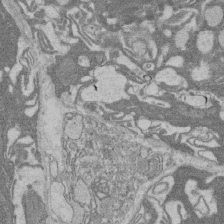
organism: Rat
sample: Salivary granule